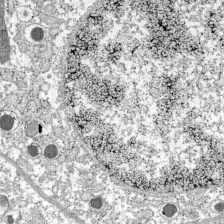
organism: C57BL Mouse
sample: Pancreatic islet